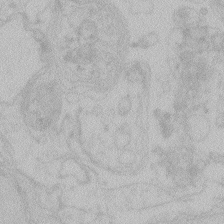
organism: Zebrafish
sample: Macrophage infected with Toxoplasma gondii